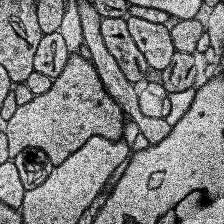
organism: Human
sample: Temporal Lobe